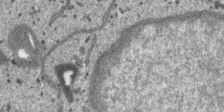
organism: Human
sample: Lung epithelial cells infected with SARS-CoV-2